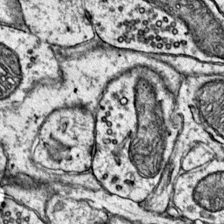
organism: Mouse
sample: Primary visual cortex